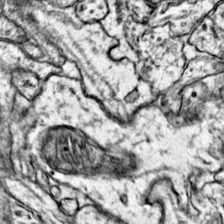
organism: Mouse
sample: Primary visual cortex